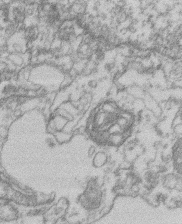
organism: Mouse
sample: T cell stromal cell synapse